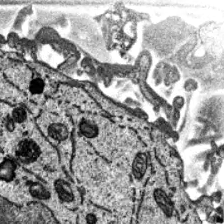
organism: Human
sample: HeLa cells